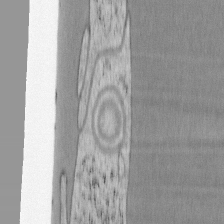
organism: Human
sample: HeLa cells